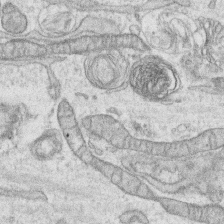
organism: Human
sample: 1205lu cells